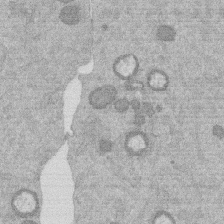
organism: Mouse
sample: Dividing mouse embryo 1 cell stage